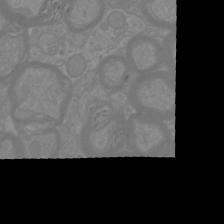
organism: Mouse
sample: Cortical neurons